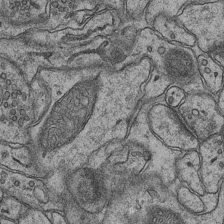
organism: Mouse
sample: CA1 Hippocampus